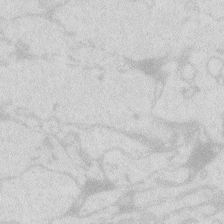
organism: Zebrafish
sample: Macrophage